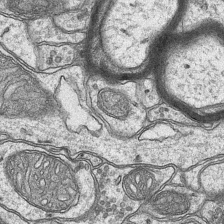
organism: Mouse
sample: CA1 Hippocampus